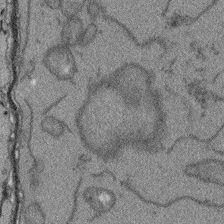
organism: Arabidopsis thaliana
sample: Root tip